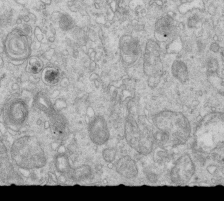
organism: Mouse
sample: Multiciliated cells